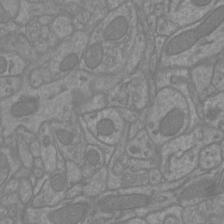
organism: Mouse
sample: Cortical neurons